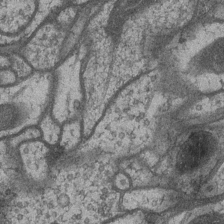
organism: Drosophila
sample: Optic medulla